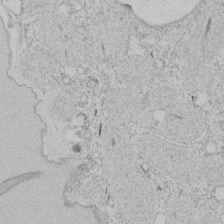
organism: Tetrahymena